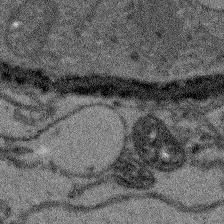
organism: Arabidopsis thaliana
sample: Root tip